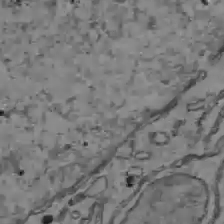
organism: C57BL Mouse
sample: Liver